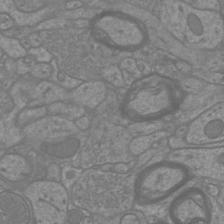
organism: Mouse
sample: Cortical neurons